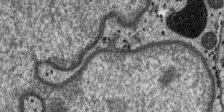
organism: Human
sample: Lung epithelial cells infected with SARS-CoV-2